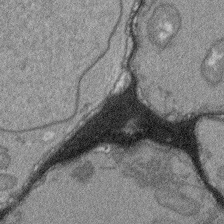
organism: Arabidopsis thaliana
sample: Root tip